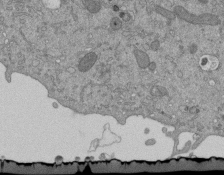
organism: Mouse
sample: ED-1 cell nuclei; centrioles